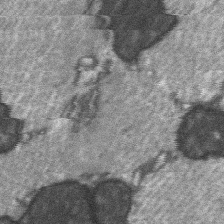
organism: C57BL Mouse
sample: Soleus